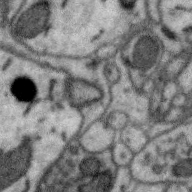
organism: Zebra finch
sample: Brain